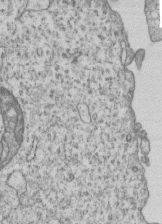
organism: Human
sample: MDA-MB-231 cells